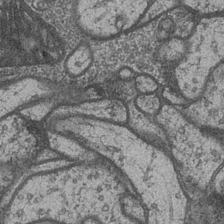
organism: Drosophila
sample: Optic medulla